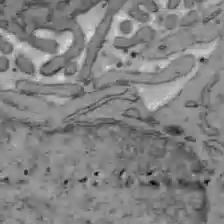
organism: C57BL Mouse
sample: Liver